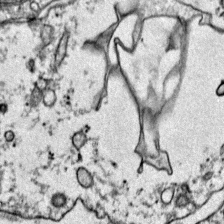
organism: Mouse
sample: Primary visual cortex